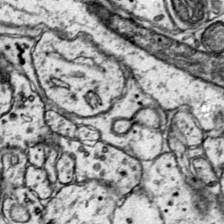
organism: Mouse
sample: Primary visual cortex